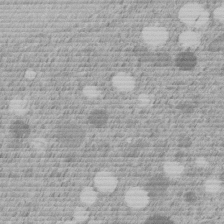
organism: C. elegans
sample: C. elegans embryo early stage